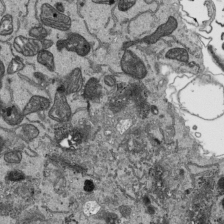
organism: Human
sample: Mitochondria in HCT116 cells